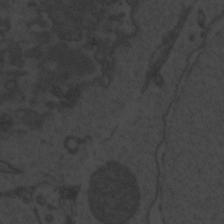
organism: Zebrafish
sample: Macrophage infected with Toxoplasma gondii